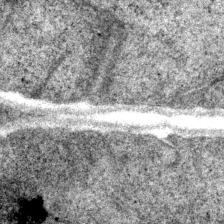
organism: P. pacificus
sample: Pharynx